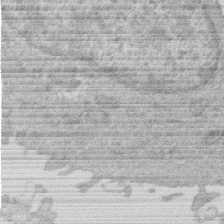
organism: Human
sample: Macrophage cells